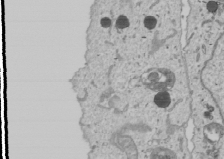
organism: Human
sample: Mitochondria in U2OS cells